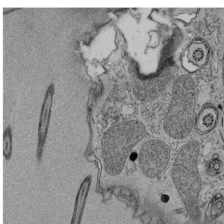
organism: Tetrahymena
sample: Cilia in tetrahymena